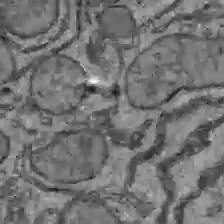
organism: C57BL Mouse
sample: Liver